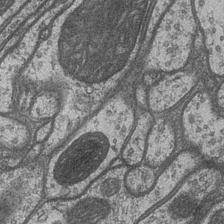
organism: Drosophila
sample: Optic medulla